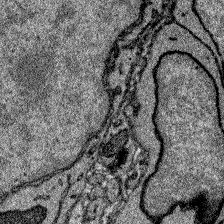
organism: Zebrafish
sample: Larval olfactory bulb